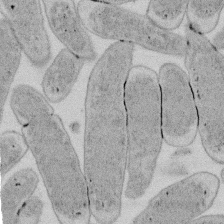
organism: E. coli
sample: Bacterial nucleoid